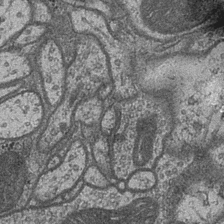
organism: Drosophila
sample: Optic medulla